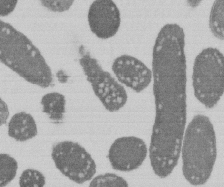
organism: E. coli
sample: Bacterial nucleoid